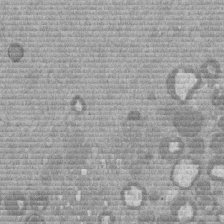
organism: Mouse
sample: Dividing mouse embryo 1 cell stage